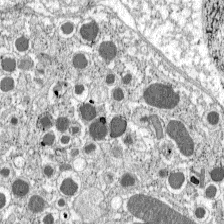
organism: C57BL Mouse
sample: Pancreatic islet